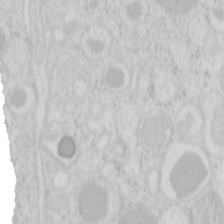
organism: Mouse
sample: Pancreas